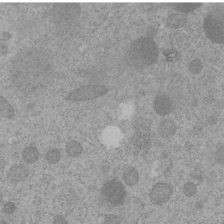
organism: C. elegans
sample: C. elegans embryo early stage